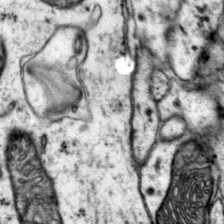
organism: Mouse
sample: Primary visual cortex